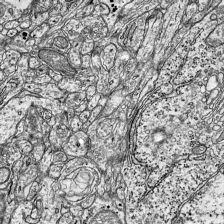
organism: Mouse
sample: Visual Cortex